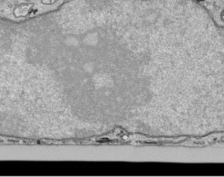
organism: Human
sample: Mitochondria in HCT116 cells